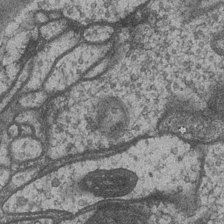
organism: Drosophila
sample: Optic medulla